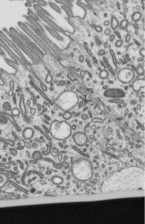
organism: Mouse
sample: Mouse epididymis efferent ductule cilia